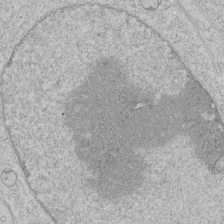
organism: Human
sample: Mitochondria in HCT116 cells